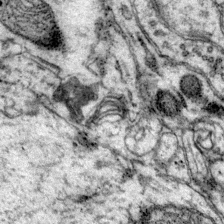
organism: Mouse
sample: Primary visual cortex